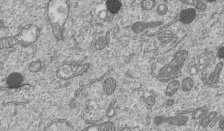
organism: Human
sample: MDA-MB-231 cells